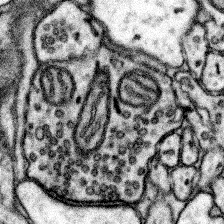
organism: Mouse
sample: Somatosensory cortex neuropil